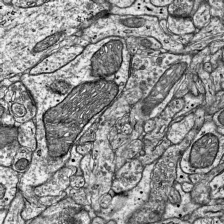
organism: Mouse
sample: Visual Cortex